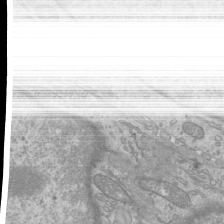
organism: Mouse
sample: Cilia; mouse epididymis